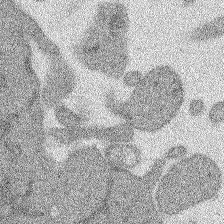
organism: Human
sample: HeLa cells